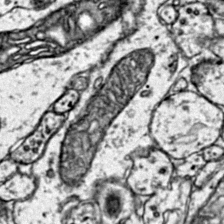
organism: Mouse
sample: Primary visual cortex